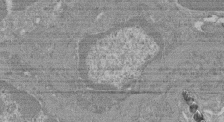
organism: Mouse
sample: Glomerulus